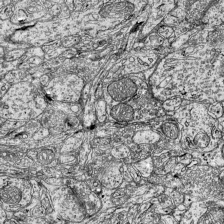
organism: Mouse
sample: Visual Cortex